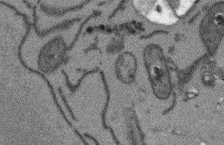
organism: Arabidopsis thaliana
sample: Root tip